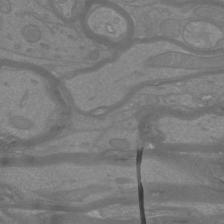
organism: Mouse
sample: Cortical neurons